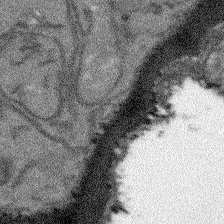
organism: Arabidopsis thaliana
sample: Root tip